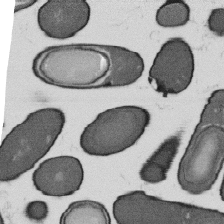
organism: B. subtilis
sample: Bacterial spore